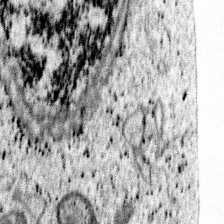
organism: Human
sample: HeLa cells